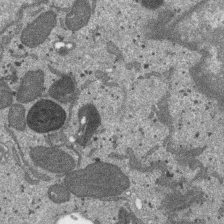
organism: Human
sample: Lung epithelial cells infected with SARS-CoV-2